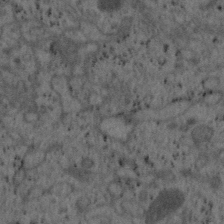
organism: Human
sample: HeLa cells